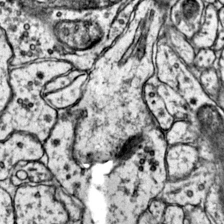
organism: Mouse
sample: Primary visual cortex